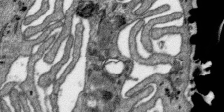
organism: Human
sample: Lung epithelial cells, uninfected (mock) control